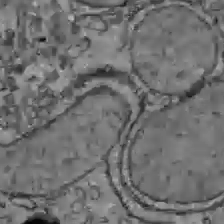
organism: C57BL Mouse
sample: Liver